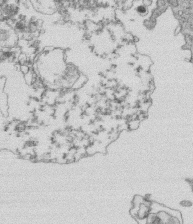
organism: Human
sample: HeLa cell HIV synapse